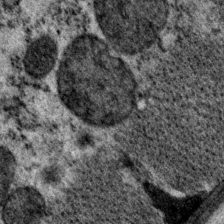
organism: P. pacificus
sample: Pharynx